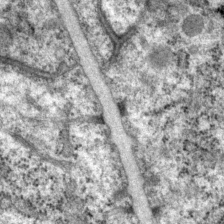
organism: P. pacificus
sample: Pharynx